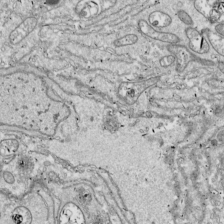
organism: Drosophila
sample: Cell division; meiosis; drosophila spermatocytes